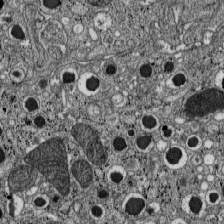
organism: C57BL Mouse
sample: Pancreatic islet